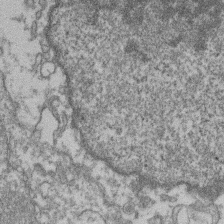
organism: Mouse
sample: T cell stromal cell synapse